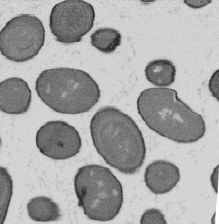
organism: B. subtilis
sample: Bacterial spore